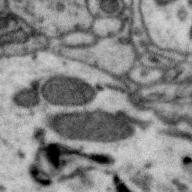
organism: Zebra finch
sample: Brain